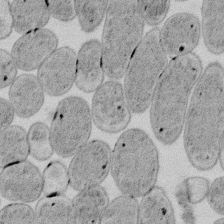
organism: E. coli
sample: Bacterial nucleoid